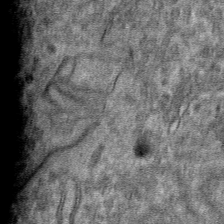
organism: Mouse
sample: Mouse hepatocytes